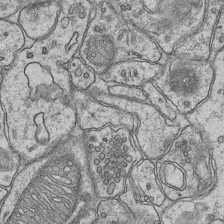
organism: Mouse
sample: CA1 Hippocampus